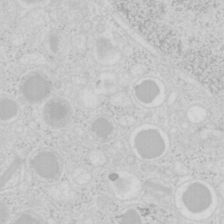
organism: Mouse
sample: Pancreas